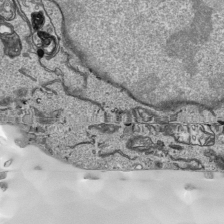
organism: Human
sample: Mitochondria in HCT116 cells